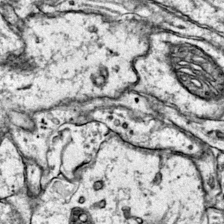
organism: Mouse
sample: Primary visual cortex